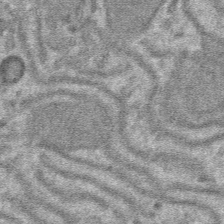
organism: Mouse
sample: Mouse hepatocytes